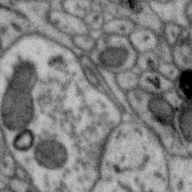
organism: Zebra finch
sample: Brain